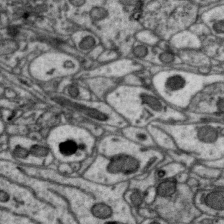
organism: Zebra finch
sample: Brain